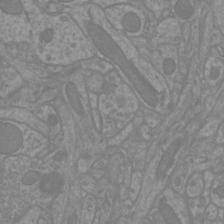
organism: Mouse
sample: Cortical neurons